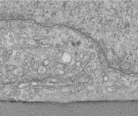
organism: Human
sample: Centriole in RPE cells